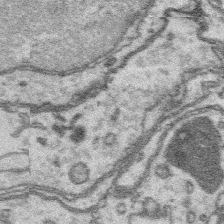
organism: Platynereis dumerilii